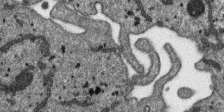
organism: Human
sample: Lung epithelial cells infected with SARS-CoV-2